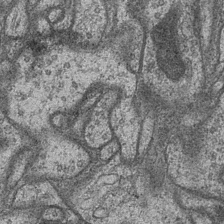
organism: Drosophila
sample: Optic medulla